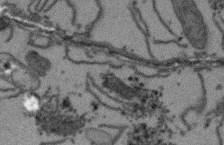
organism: Arabidopsis thaliana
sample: Root tip